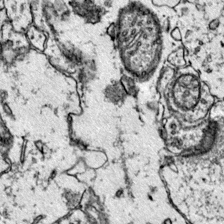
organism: Mouse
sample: Primary visual cortex